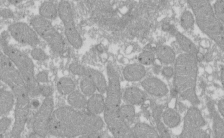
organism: Xenopus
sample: Cilia; centrioles in frog embryo cells